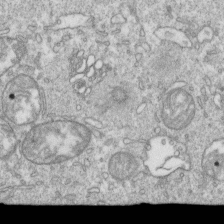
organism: Mouse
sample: Activated OT-1 CD8+ T cells